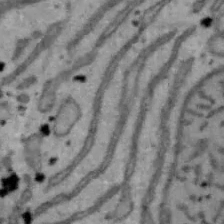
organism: Mouse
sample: Liver